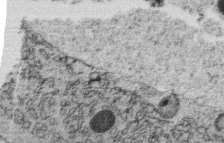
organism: C. elegans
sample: C. elegans oocyte; sperm cells